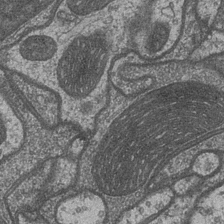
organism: Drosophila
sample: Optic medulla